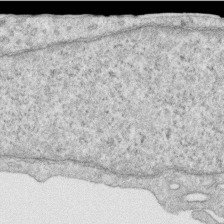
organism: Human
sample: Centriole in RPE cells